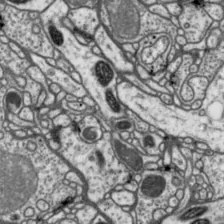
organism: Drosophila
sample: Protocerebral bridge